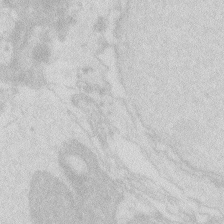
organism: Zebrafish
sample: Macrophage